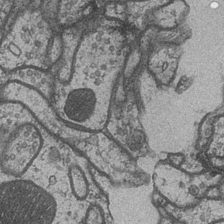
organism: Drosophila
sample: Optic medulla